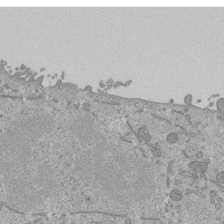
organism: Mouse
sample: ED-1 cell nuclei; centrioles